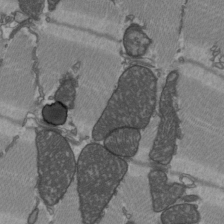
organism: C57BL Mouse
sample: Heart